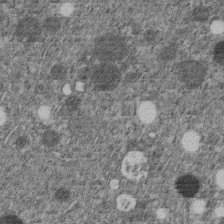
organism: C. elegans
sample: C. elegans embryo early stage